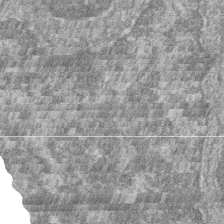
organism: Zebrafish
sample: Cilia; retinal pigment epithelium